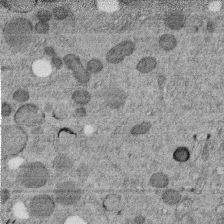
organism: C. elegans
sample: C. elegans embryo early stage